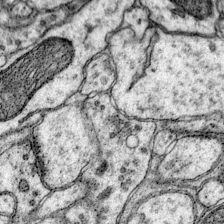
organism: Mouse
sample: Primary visual cortex